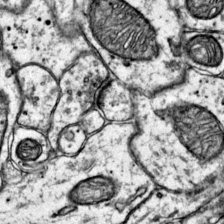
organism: Mouse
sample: Primary visual cortex